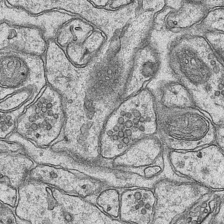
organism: Mouse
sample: CA1 Hippocampus